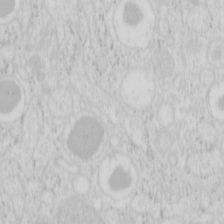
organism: Mouse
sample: Pancreas